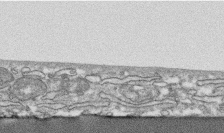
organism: Human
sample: CRL-1474